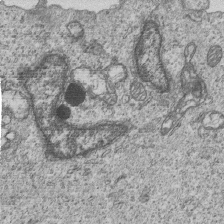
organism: Human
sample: MDA-MB-231 cells